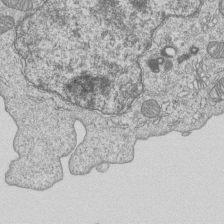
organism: Human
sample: MDA-MB-231 cells